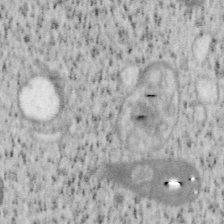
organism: Mouse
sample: OT-I killer T cells with ID8 ovarian cancer cells